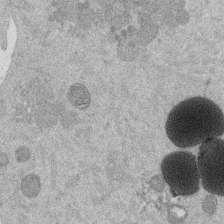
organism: Mouse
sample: Dividing mouse embryo 1 cell stage